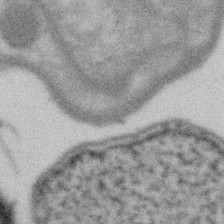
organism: Gemmata obscuriglobus